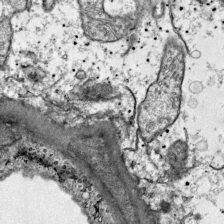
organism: Mouse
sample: Visual Cortex